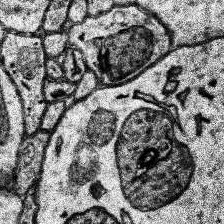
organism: Human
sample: Temporal Lobe